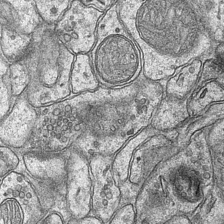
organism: Mouse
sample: CA1 Hippocampus